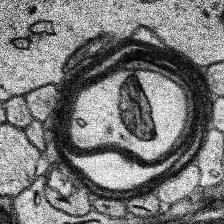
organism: Human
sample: Temporal Lobe